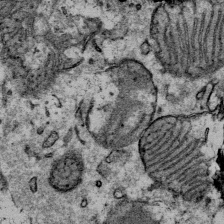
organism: Mouse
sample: Mouse Salivary gland